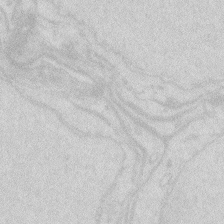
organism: Zebrafish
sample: Macrophage